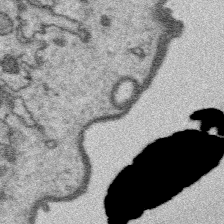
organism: Platynereis dumerilii